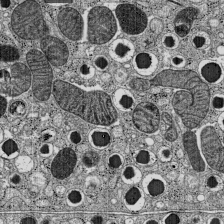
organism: C57BL Mouse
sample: Pancreatic islet